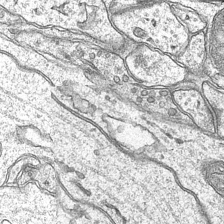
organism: Mouse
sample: CA1 Hippocampus